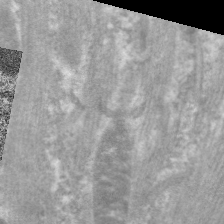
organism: C. elegans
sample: Pharynx